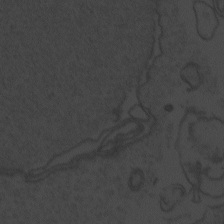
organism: Zebrafish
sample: Macrophage infected with Toxoplasma gondii